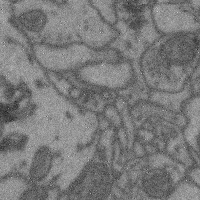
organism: Mouse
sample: Cerebral cortex